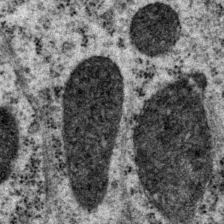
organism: P. pacificus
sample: Pharynx